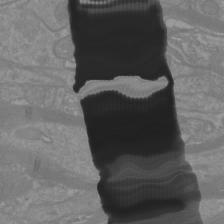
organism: Mouse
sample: Cortical neurons